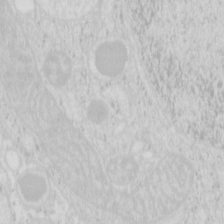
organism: Mouse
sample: Pancreas